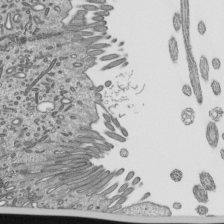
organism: Mouse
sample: Mouse epididymis efferent ductule cilia